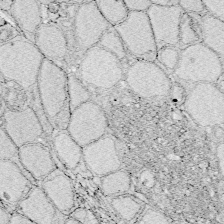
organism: Zebrafish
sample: Whole-Brain